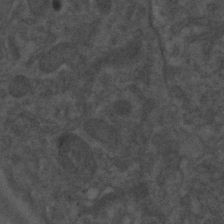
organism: C. elegans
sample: C. elegans embryo